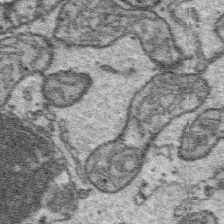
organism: Platynereis dumerilii